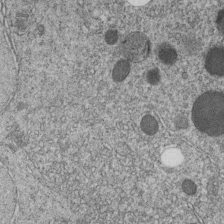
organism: C. elegans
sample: C. elegans embryo early stage